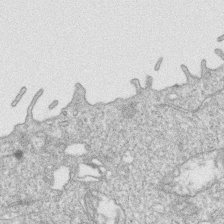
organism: Human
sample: HeLa cell HIV synapse